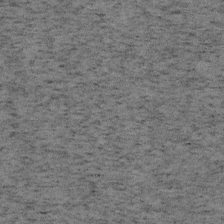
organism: Mouse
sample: OT-I killer T cells with ID8 ovarian cancer cells